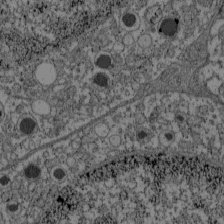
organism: C57BL Mouse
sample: Pancreatic islet